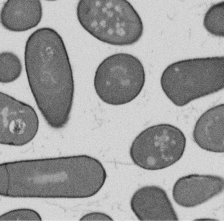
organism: B. subtilis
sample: Bacterial spore